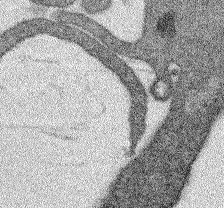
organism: Human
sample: HeLa cells